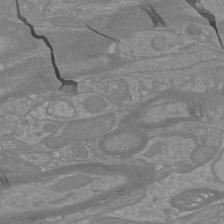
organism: Mouse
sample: Cortical neurons